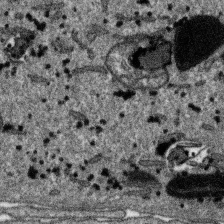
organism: Human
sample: Lung epithelial cells infected with SARS-CoV-2